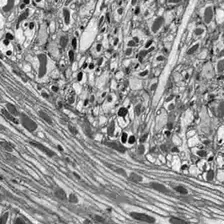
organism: Drosophila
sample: Optic lobe